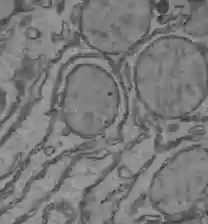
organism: C57BL Mouse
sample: Liver